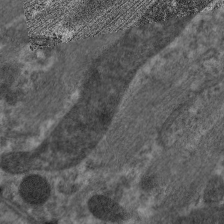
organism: C. elegans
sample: Pharynx